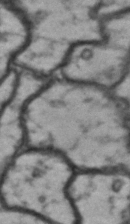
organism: Drosophila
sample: Brain